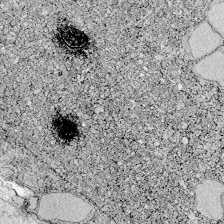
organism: Zebrafish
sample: Whole-Brain